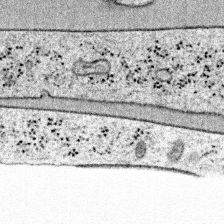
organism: Human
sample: HeLa cells